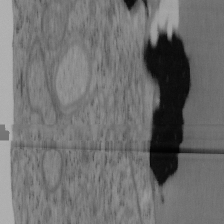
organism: Human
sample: HeLa cells